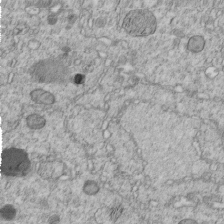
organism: C. elegans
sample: C. elegans embryo early stage